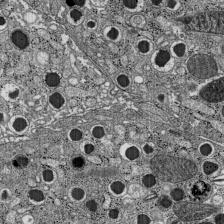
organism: C57BL Mouse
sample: Pancreatic islet